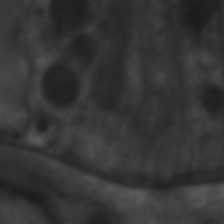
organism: C. elegans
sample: Pharynx